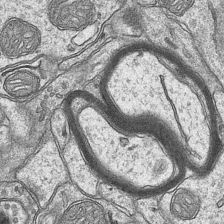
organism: Mouse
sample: CA1 Hippocampus